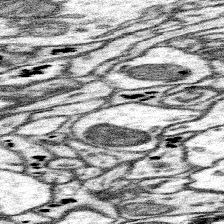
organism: Mouse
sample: Somatosensory cortex neuropil